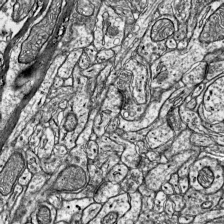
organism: Mouse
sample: Visual Cortex